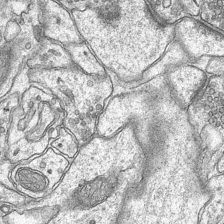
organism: Mouse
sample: CA1 Hippocampus